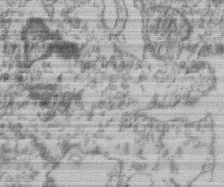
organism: Mouse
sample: T cell stromal cell synapse